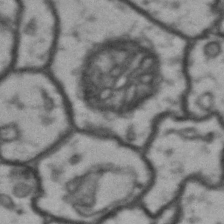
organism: Drosophila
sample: Brain